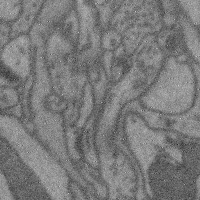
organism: Mouse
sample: Cerebral cortex